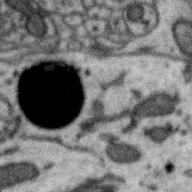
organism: Zebra finch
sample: Brain